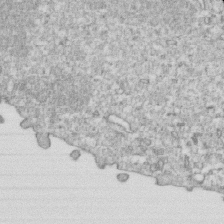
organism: Mouse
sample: Activated OT-1 CD8+ T cells